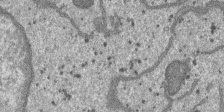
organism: Human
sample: Lung epithelial cells infected with SARS-CoV-2